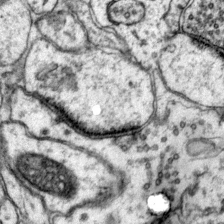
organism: Mouse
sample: Primary visual cortex